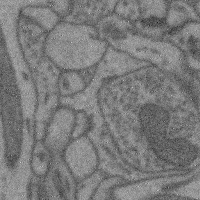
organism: Mouse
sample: Cerebral cortex